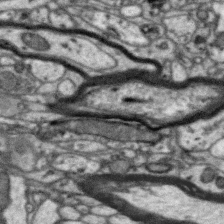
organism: Zebra finch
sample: Brain